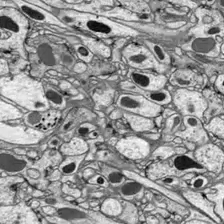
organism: Drosophila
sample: Optic lobe